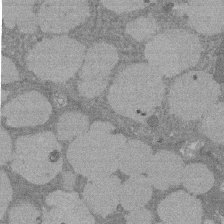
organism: Rat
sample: Salivary granule